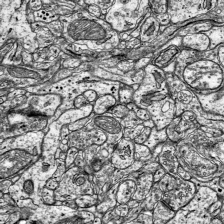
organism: Mouse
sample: Visual Cortex